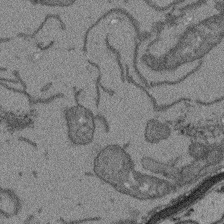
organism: Arabidopsis thaliana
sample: Root tip